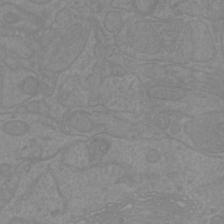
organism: Mouse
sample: Cortical neurons